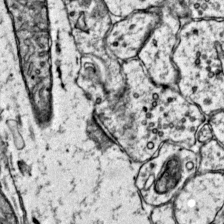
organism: Mouse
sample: Primary visual cortex